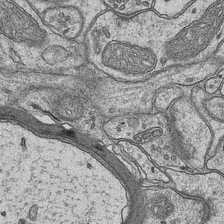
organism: Mouse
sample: CA1 Hippocampus